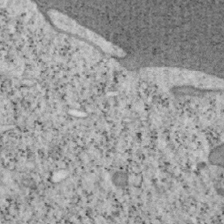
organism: Mouse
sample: OT-I killer T cells with ID8 ovarian cancer cells